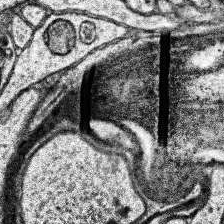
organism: Human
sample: Temporal Lobe